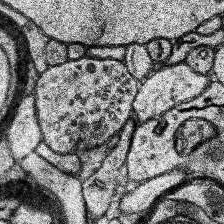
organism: Human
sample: Temporal Lobe